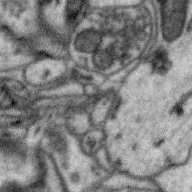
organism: Zebra finch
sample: Brain